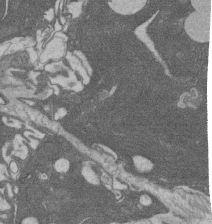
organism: Rat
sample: Salivary granule